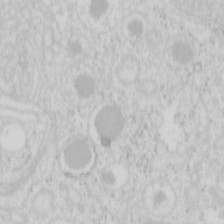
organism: Mouse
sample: Pancreas